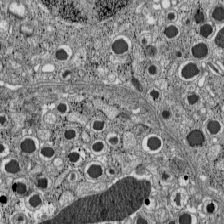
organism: C57BL Mouse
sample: Pancreatic islet